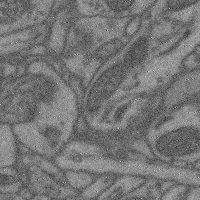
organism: Mouse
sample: Cerebral cortex